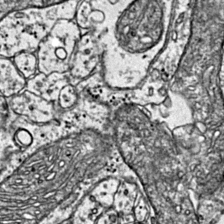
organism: Mouse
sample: Primary visual cortex